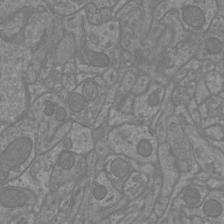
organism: Mouse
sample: Cortical neurons